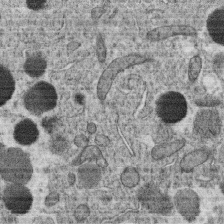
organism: C. elegans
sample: C. elegans oocyte; sperm cells